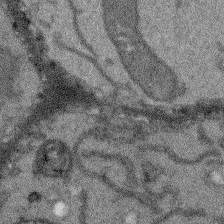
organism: Arabidopsis thaliana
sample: Root tip